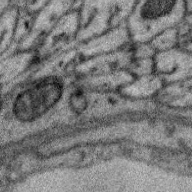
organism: Zebra finch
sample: Brain